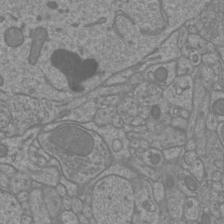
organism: Mouse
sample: Cortical neurons